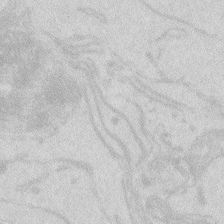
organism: Zebrafish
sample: Macrophage